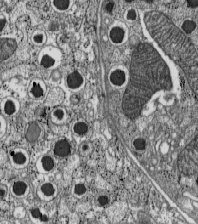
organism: C57BL Mouse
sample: Pancreatic islet